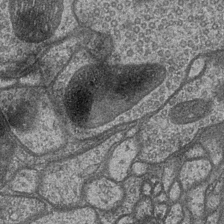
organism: Drosophila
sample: Optic medulla